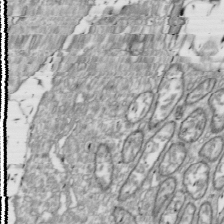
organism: Drosophila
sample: Cell division; meiosis; drosophila spermatocytes